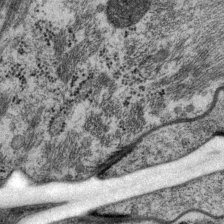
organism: P. pacificus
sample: Pharynx